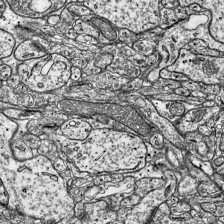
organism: Mouse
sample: Visual Cortex